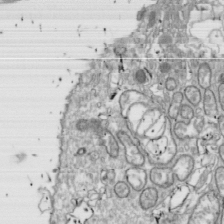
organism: Drosophila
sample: Cell division; meiosis; drosophila spermatocytes